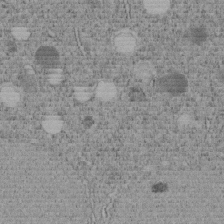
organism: C. elegans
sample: C. elegans embryo early stage